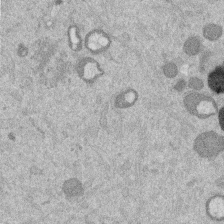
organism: Mouse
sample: Dividing mouse embryo 1 cell stage